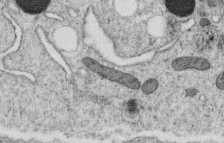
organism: C. elegans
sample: C. elegans oocyte; sperm cells